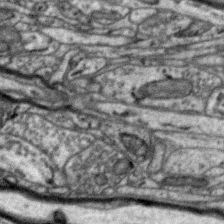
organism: Zebra finch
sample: Brain